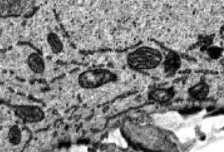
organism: Human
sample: HeLa cells